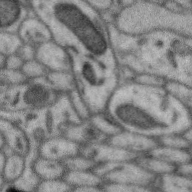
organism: Zebra finch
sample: Brain